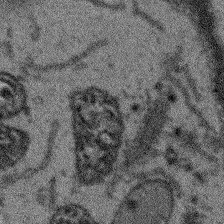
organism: Arabidopsis thaliana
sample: Root tip